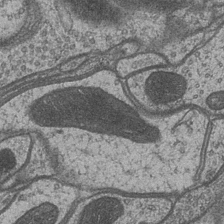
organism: Drosophila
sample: Optic medulla